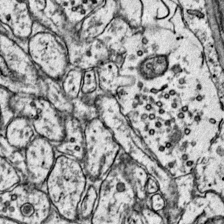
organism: Mouse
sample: Primary visual cortex